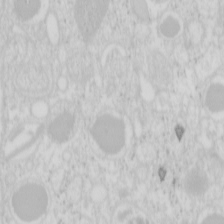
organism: Mouse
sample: Pancreas